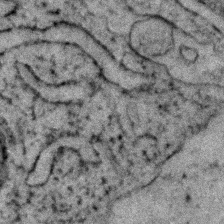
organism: Zebrafish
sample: Zebrafish embryo